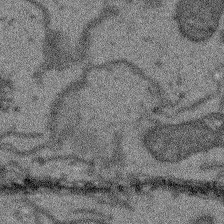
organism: Arabidopsis thaliana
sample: Root tip